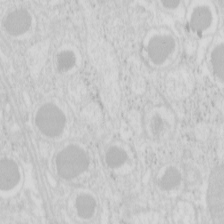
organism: Mouse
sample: Pancreas